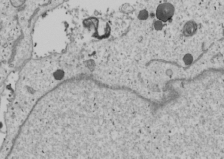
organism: Human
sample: Mitochondria in U2OS cells